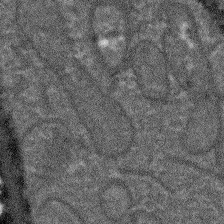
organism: Arabidopsis thaliana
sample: Root tip